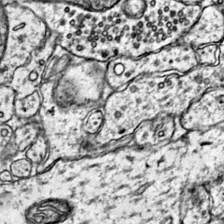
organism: Mouse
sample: Primary visual cortex